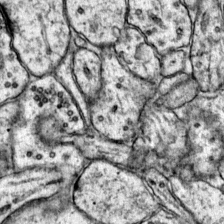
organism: Mouse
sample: Primary visual cortex